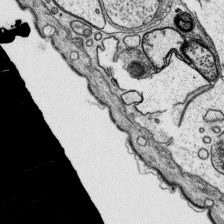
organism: Platynereis dumerilii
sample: Parapodia